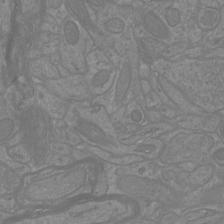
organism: Mouse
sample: Cortical neurons